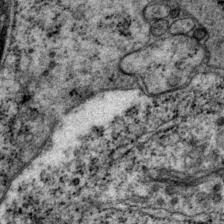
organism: P. pacificus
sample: Pharynx